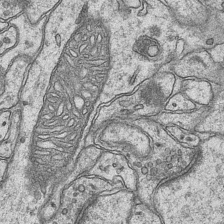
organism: Mouse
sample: CA1 Hippocampus